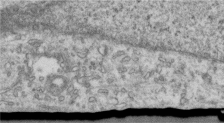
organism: Human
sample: Centriole in RPE cells